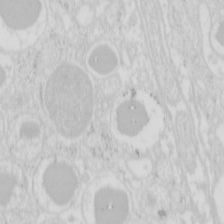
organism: Mouse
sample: Pancreas